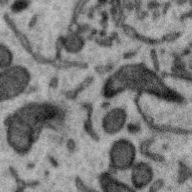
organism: Zebra finch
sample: Brain